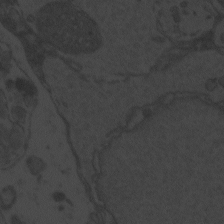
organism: Zebrafish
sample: Macrophage infected with Toxoplasma gondii